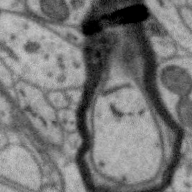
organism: Zebra finch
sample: Brain